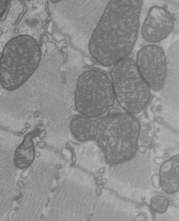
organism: C57BL Mouse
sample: Heart